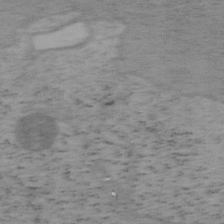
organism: Mouse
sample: OT-I killer T cells with ID8 ovarian cancer cells